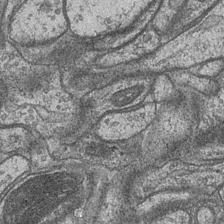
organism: Drosophila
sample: Optic medulla